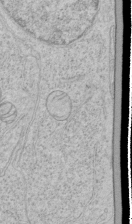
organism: Human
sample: Mitochondria in HCT116 cells